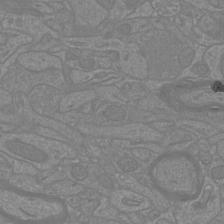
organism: Mouse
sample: Cortical neurons